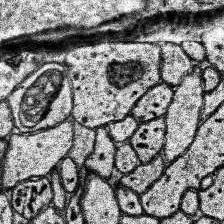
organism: Human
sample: Temporal Lobe